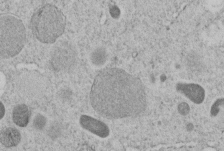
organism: C. elegans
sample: C. elegans embryo early stage